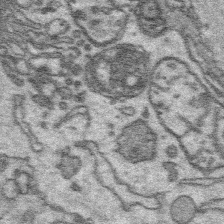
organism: Platynereis dumerilii